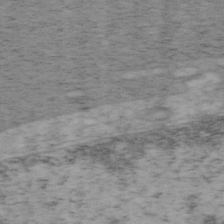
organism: Mouse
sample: OT-I killer T cells with ID8 ovarian cancer cells